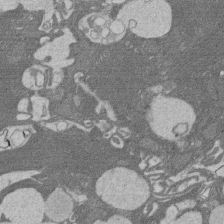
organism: Rat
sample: Salivary granule